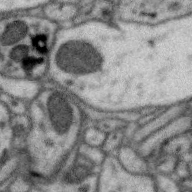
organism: Zebra finch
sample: Brain